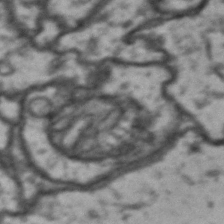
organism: Drosophila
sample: Brain